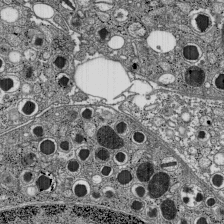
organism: C57BL Mouse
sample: Pancreatic islet